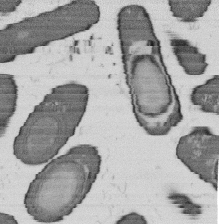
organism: B. subtilis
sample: Bacterial spore